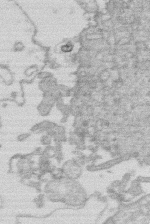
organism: Human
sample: Macrophage cells